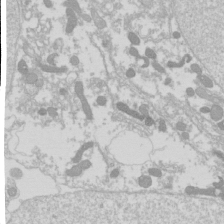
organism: Drosophila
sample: Cell division; meiosis; drosophila spermatocytes